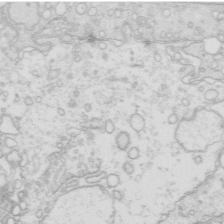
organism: Mouse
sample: Multiciliated cells